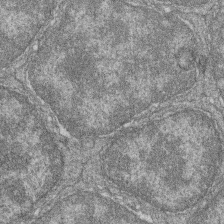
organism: Zebrafish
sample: Cilia; retinal pigment epithelium